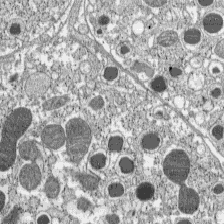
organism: C57BL Mouse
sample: Pancreatic islet